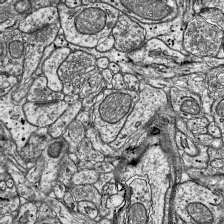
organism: Mouse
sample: Visual Cortex